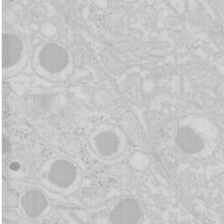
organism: Mouse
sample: Pancreas